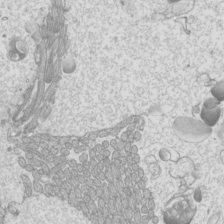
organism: Mouse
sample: Cilia; mouse epididymis